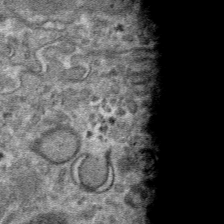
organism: Mouse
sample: Mouse hepatocytes